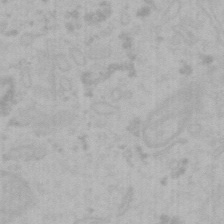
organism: Mouse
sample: Choroid plexus